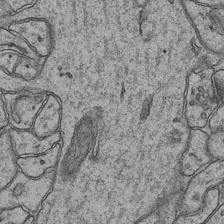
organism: Mouse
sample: CA1 Hippocampus